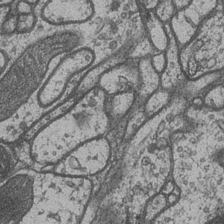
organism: Drosophila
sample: Optic medulla